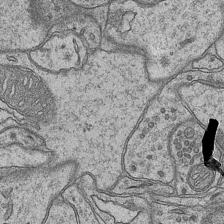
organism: Mouse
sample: CA1 Hippocampus